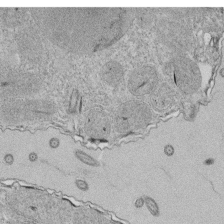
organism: Tetrahymena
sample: Cilia in tetrahymena